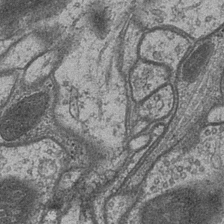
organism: Drosophila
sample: Optic medulla